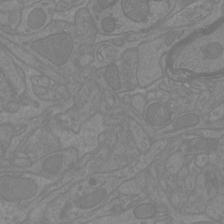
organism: Mouse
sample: Cortical neurons